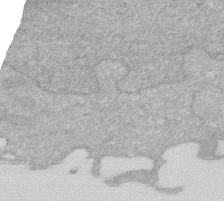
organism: Human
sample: HIV infected U937 cells